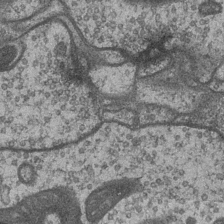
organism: Drosophila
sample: Optic medulla